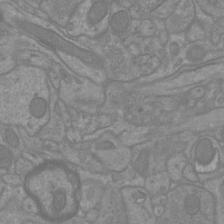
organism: Mouse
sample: Cortical neurons